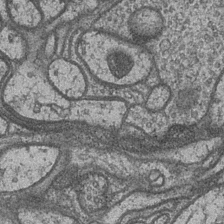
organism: Drosophila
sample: Optic medulla